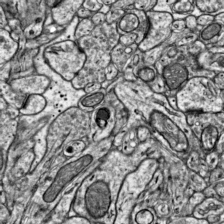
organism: Mouse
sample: Visual Cortex